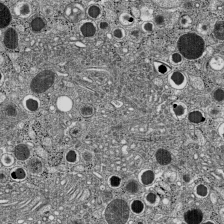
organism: C57BL Mouse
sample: Pancreatic islet